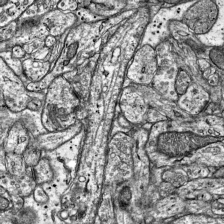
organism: Mouse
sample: Visual Cortex